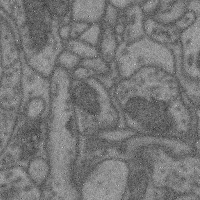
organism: Mouse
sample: Cerebral cortex